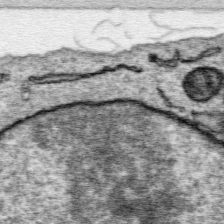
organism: Human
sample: HeLa cells